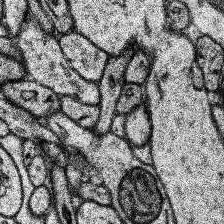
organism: Human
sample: Temporal Lobe